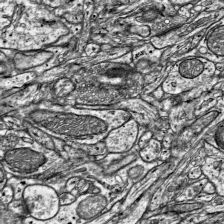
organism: Mouse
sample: Visual Cortex